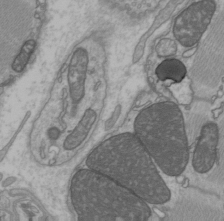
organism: C57BL Mouse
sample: Heart